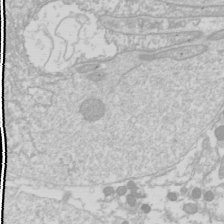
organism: Drosophila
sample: Cell division; meiosis; drosophila spermatocytes